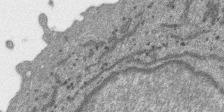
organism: Human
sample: Lung epithelial cells infected with SARS-CoV-2